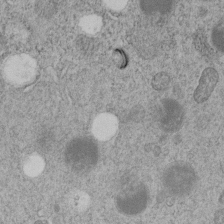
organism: C. elegans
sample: C. elegans embryo early stage